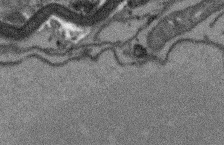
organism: Arabidopsis thaliana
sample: Root tip